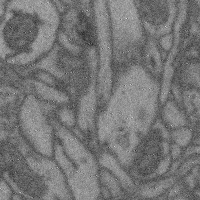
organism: Mouse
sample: Cerebral cortex